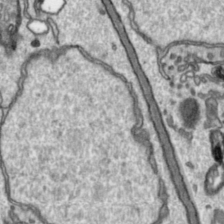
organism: Toxoplasma gondii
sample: Parasites in a vacuole inside a host cell